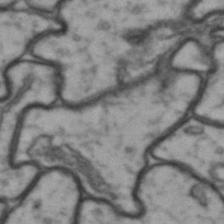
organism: Drosophila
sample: Brain